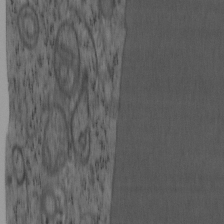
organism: Human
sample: HeLa cells